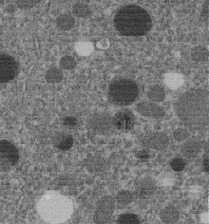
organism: C. elegans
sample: C. elegans embryo early stage